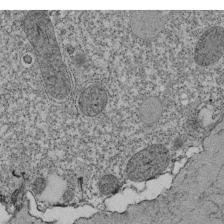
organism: Tetrahymena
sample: Cilia in tetrahymena